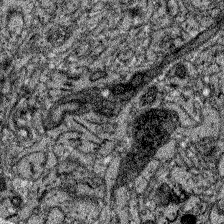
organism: Zebrafish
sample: Larval olfactory bulb